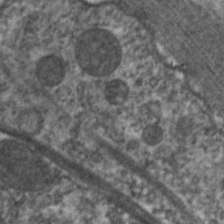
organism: C. elegans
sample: Pharynx